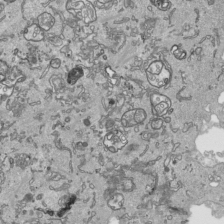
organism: Human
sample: Mitochondria in HCT116 cells